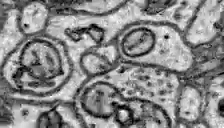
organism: Zebrafish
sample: Brain